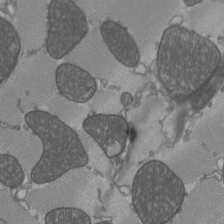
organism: C57BL Mouse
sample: Heart